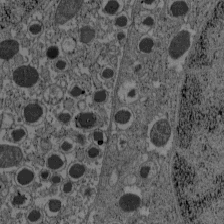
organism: C57BL Mouse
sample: Pancreatic islet